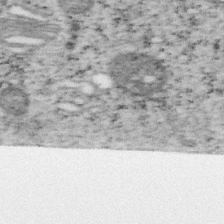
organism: Mouse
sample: OT-I killer T cells with ID8 ovarian cancer cells